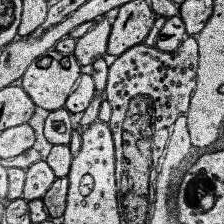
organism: Human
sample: Temporal Lobe